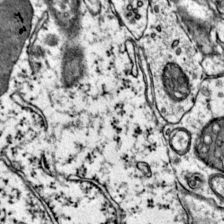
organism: Mouse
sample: Primary visual cortex